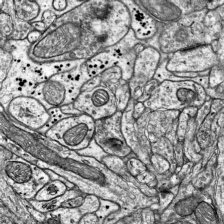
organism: Mouse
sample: Visual Cortex